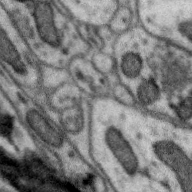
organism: Zebra finch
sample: Brain